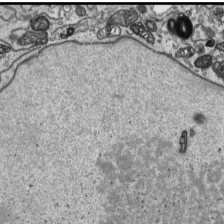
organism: Human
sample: Mitochondria in HCT116 cells